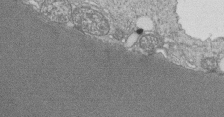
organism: Tetrahymena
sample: Cilia in tetrahymena